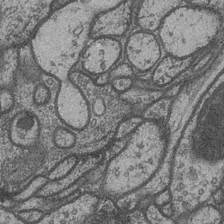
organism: Drosophila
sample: Optic medulla